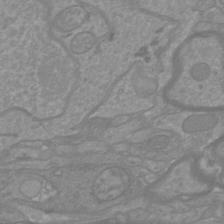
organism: Mouse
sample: Cortical neurons